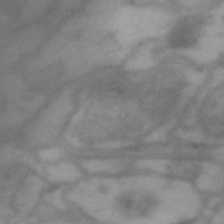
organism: Drosophila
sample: Brain